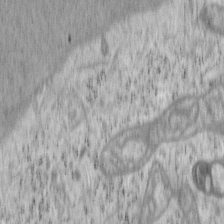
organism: Human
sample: HeLa cells